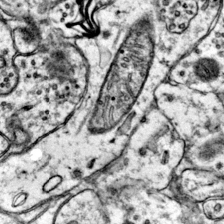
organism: Mouse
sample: Primary visual cortex